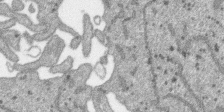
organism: Human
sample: Lung epithelial cells infected with SARS-CoV-2